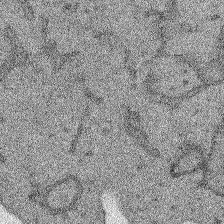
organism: Human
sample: HeLa cells